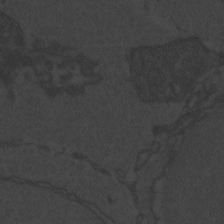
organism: Zebrafish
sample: Macrophage infected with Toxoplasma gondii